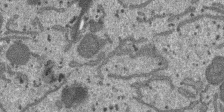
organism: Human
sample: Lung epithelial cells infected with SARS-CoV-2